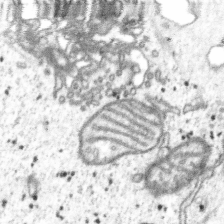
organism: Human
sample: HeLa cells